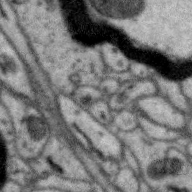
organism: Zebra finch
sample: Brain